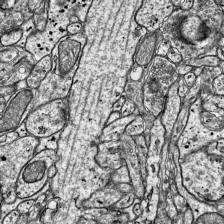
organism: Mouse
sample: Visual Cortex